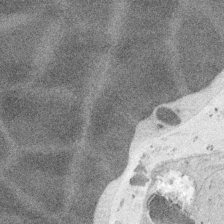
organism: Embia sp.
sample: Silk gland